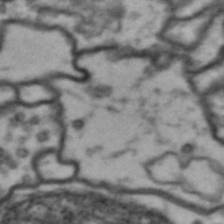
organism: Drosophila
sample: Brain